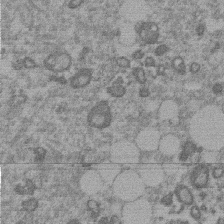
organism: Mouse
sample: Dividing mouse embryo 1 cell stage